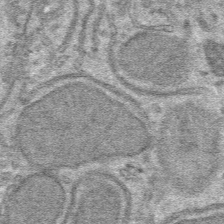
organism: Mouse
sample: Mouse hepatocytes